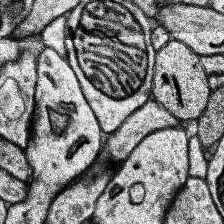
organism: Human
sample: Temporal Lobe